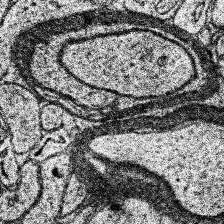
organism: Human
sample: Temporal Lobe